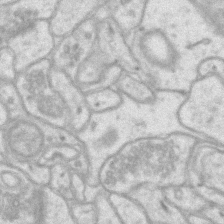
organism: Mouse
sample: CA1 Hippocampus